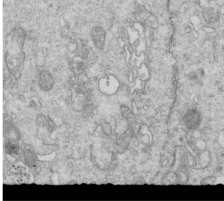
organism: Mouse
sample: Multiciliated cells